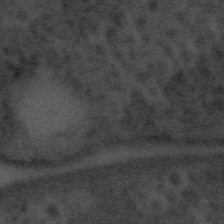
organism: Tuwongella immobilis